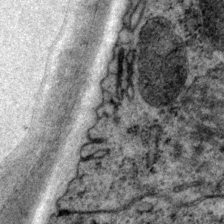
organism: P. pacificus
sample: Pharynx